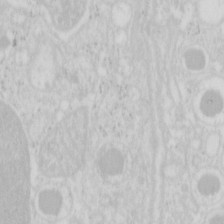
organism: Mouse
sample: Pancreas